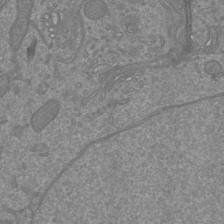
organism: Mouse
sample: Cortical neurons